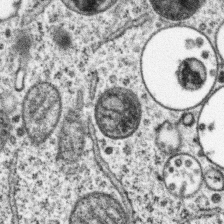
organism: Human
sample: HeLa cells